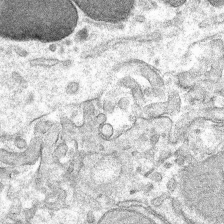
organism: Mouse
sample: Mouse hepatocytes